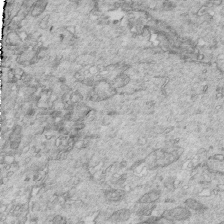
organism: Mouse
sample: Multiciliated cells